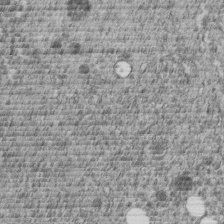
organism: C. elegans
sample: C. elegans embryo early stage